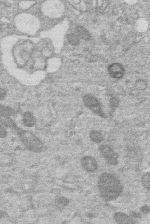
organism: Human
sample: Macrophage cells